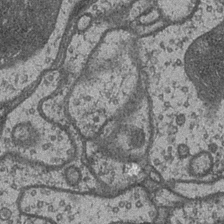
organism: Drosophila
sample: Optic medulla